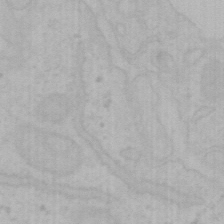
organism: Mouse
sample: Choroid plexus